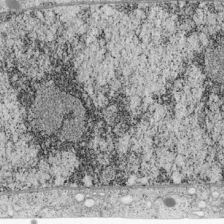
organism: African green monkey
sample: COS-7 cells